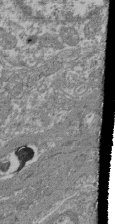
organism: Mouse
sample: Glomerulus